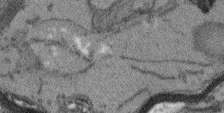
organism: Arabidopsis thaliana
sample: Root tip